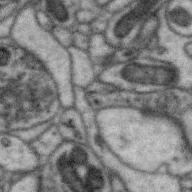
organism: Zebra finch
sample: Brain